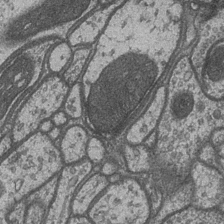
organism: Drosophila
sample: Optic medulla